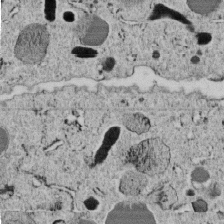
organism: C. elegans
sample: C. elegans embryo early stage